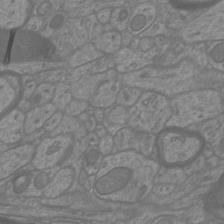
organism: Mouse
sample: Cortical neurons